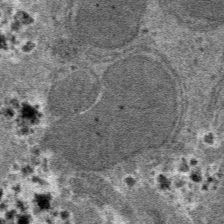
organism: Mouse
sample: Mouse hepatocytes